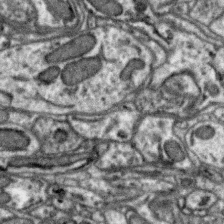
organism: Zebra finch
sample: Brain